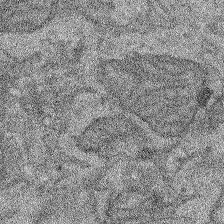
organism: Human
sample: HeLa cells